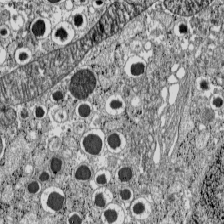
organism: C57BL Mouse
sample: Pancreatic islet